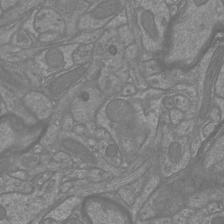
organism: Mouse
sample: Cortical neurons